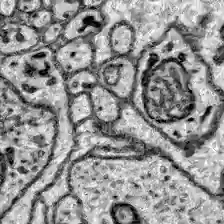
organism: Zebrafish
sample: Brain